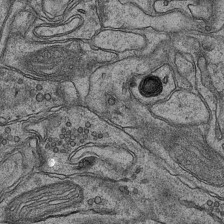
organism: Mouse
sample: CA1 Hippocampus